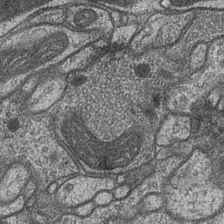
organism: Drosophila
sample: Optic medulla